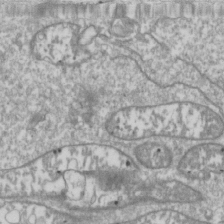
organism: Drosophila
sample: Cell division; meiosis; drosophila spermatocytes